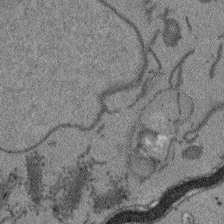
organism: Arabidopsis thaliana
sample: Root tip